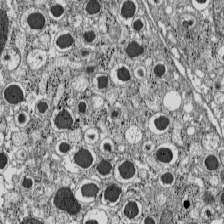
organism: C57BL Mouse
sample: Pancreatic islet